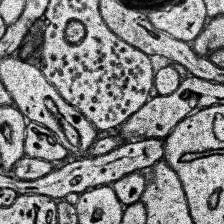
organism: Human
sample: Temporal Lobe